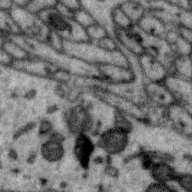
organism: Zebra finch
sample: Brain